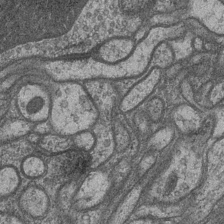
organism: Drosophila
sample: Optic medulla